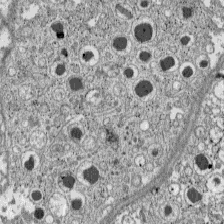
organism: C57BL Mouse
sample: Pancreatic islet